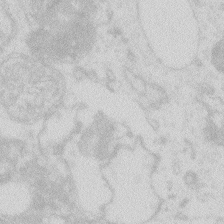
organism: Zebrafish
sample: Macrophage